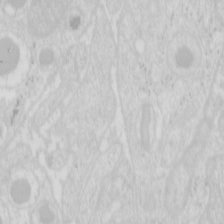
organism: Mouse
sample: Pancreas